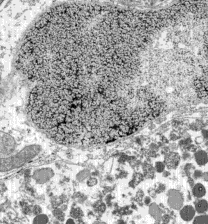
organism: C57BL Mouse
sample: Pancreatic islet